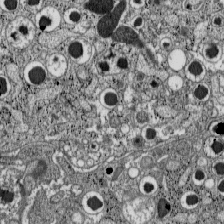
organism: C57BL Mouse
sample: Pancreatic islet